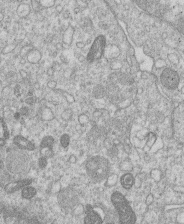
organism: Human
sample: Macrophage cells